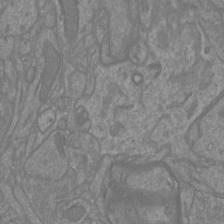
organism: Mouse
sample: Cortical neurons